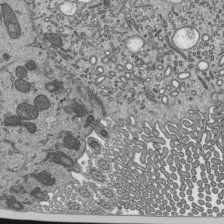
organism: Mouse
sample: Mouse epididymis efferent ductule cilia